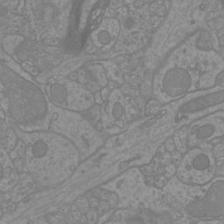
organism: Mouse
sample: Cortical neurons